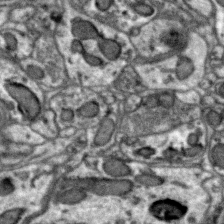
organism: Zebra finch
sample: Brain